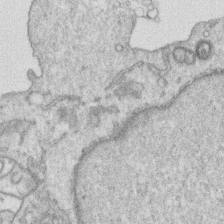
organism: Human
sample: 1205lu cells